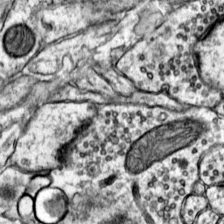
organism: Mouse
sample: Primary visual cortex